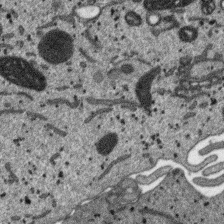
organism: Human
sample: Lung epithelial cells infected with SARS-CoV-2